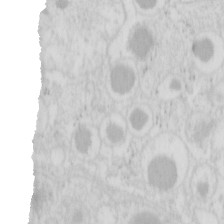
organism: Mouse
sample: Pancreas